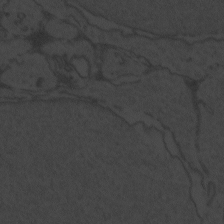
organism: Zebrafish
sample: Macrophage infected with Toxoplasma gondii